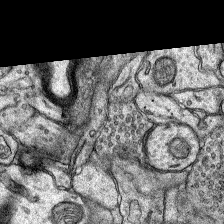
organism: Rat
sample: Hippocampus